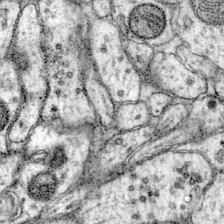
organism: Mouse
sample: Primary visual cortex